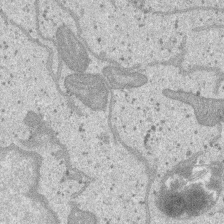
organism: Human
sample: Lung epithelial cells infected with SARS-CoV-2